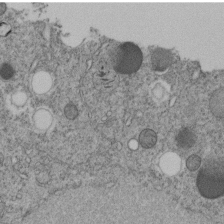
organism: C. elegans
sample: C. elegans embryo early stage